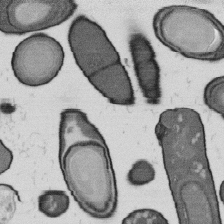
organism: B. subtilis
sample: Bacterial spore